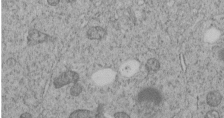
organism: C. elegans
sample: C. elegans embryo early stage